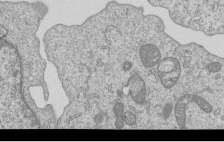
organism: Human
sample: MDA-MB-231 cells